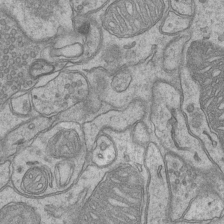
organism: Mouse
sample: CA1 Hippocampus